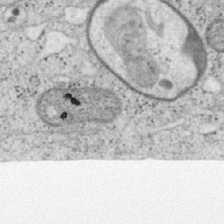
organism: Mouse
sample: OT-I killer T cells with ID8 ovarian cancer cells